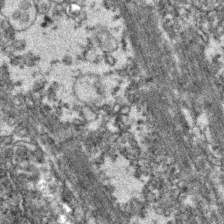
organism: Zebrafish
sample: Zebrafish embryo